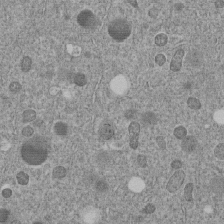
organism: C. elegans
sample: C. elegans embryo early stage